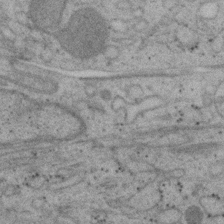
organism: Human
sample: HeLa cells